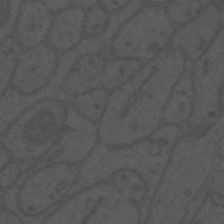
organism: Mouse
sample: Suprachiasmatic nucleus